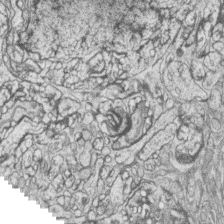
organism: Zebrafish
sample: synaptic ribbons in rod cells and cone cells